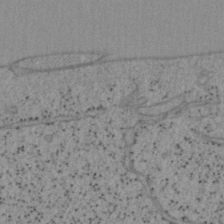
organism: Human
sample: HeLa cells